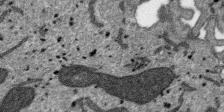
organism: Human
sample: Lung epithelial cells, uninfected (mock) control